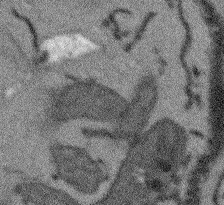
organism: Arabidopsis thaliana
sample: Root tip